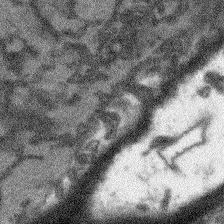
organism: Arabidopsis thaliana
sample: Root tip